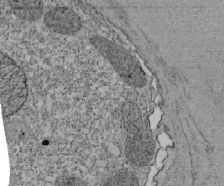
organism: Tetrahymena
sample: Cilia in tetrahymena